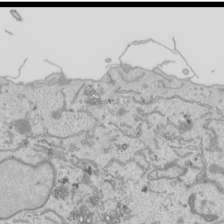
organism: Human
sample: Mitochondria in HCT116 cells